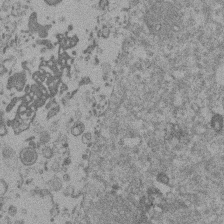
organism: Mouse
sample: Dividing mouse embryo 1 cell stage